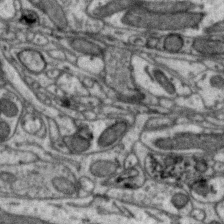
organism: Zebra finch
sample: Brain